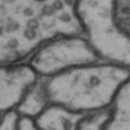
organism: Drosophila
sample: Brain